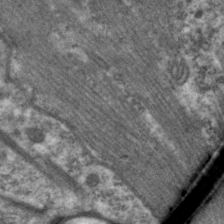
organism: C. elegans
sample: Pharynx